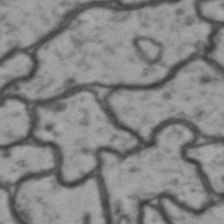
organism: Drosophila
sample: Brain